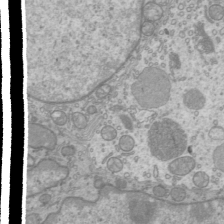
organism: Mouse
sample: Cilia; mouse epididymis